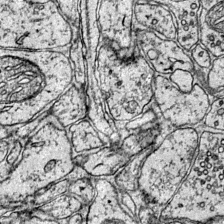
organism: Mouse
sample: Primary visual cortex